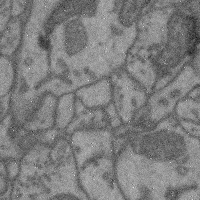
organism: Mouse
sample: Cerebral cortex